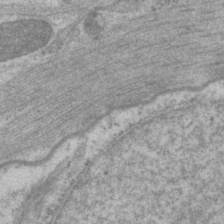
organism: P. pacificus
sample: Pharynx